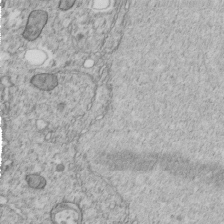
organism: C. elegans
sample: C. elegans embryo early stage